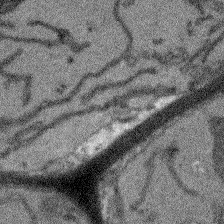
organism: Arabidopsis thaliana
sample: Root tip